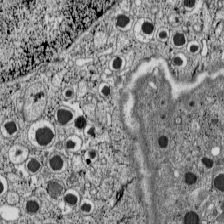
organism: C57BL Mouse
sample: Pancreatic islet